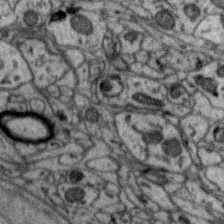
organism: Zebra finch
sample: Brain